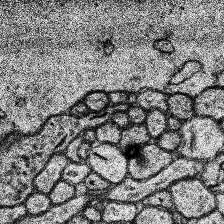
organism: Human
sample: Temporal Lobe